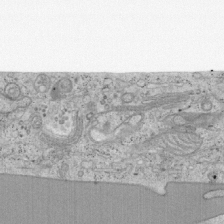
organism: Human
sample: HeLa cells